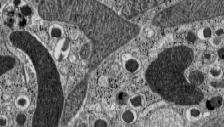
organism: C57BL Mouse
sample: Pancreatic islet